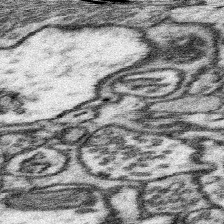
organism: Mouse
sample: Somatosensory cortex neuropil